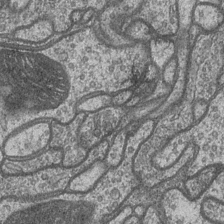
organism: Drosophila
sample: Optic medulla